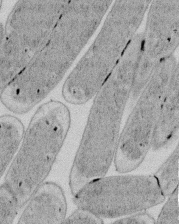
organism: E. coli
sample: Bacterial nucleoid